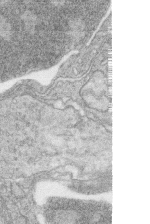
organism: Zebrafish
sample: synaptic ribbons in rod cells and cone cells